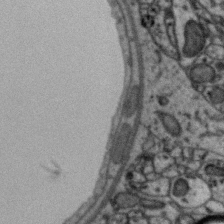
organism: Zebra finch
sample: Brain